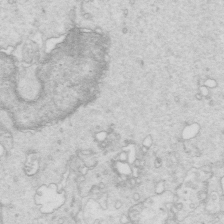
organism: Mouse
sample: Multiciliated cells